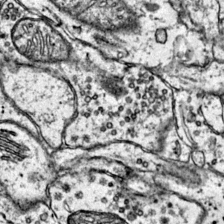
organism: Mouse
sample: Primary visual cortex